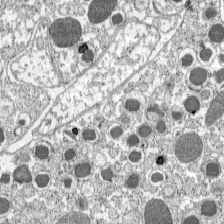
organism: C57BL Mouse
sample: Pancreatic islet